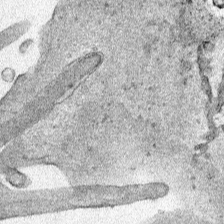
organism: Human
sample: Mitochondria in HCT116 cells